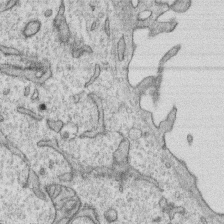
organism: Human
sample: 1205lu cells